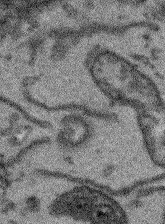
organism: Arabidopsis thaliana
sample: Root tip